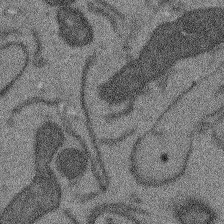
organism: Arabidopsis thaliana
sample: Root tip